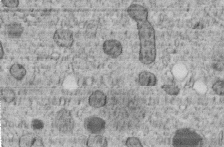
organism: C. elegans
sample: C. elegans embryo early stage